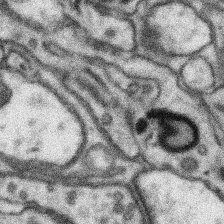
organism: Mouse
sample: Somatosensory cortex neuropil